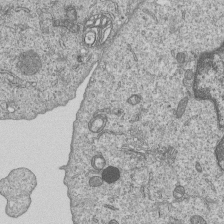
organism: Human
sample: MDA-MB-231 cells